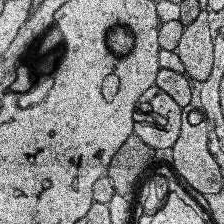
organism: Human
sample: Temporal Lobe